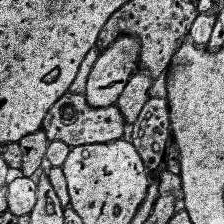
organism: Human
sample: Temporal Lobe